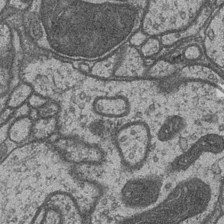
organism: Drosophila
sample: Optic medulla